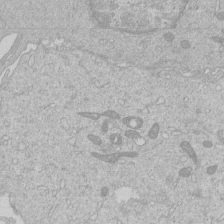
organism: Human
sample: Macrophage cells